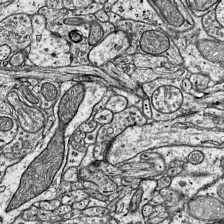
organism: Mouse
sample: Visual Cortex